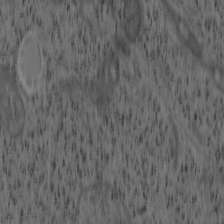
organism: Human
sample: HeLa cells